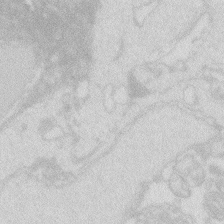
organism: Zebrafish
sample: Macrophage